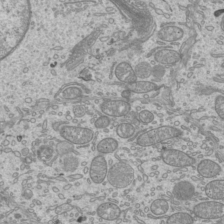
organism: Mouse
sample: Cilia; mouse epididymis